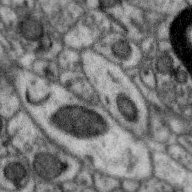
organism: Zebra finch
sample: Brain